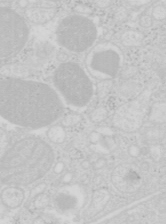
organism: Mouse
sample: Pancreas